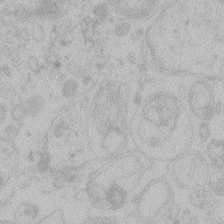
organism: Zebrafish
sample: Macrophage infected with Toxoplasma gondii